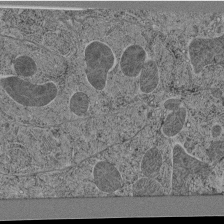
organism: C. elegans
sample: C. elegans pharynx